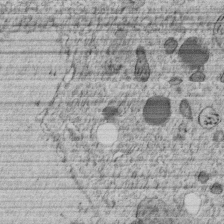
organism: C. elegans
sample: C. elegans embryo early stage